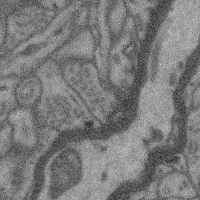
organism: Mouse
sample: Cerebral cortex